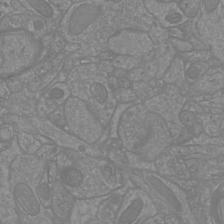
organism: Mouse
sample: Cortical neurons